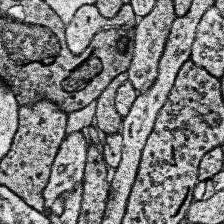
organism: Human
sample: Temporal Lobe